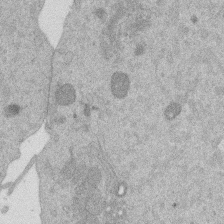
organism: Mouse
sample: Dividing mouse embryo 1 cell stage